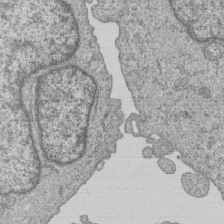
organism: Human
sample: MDA-MB-231 cells